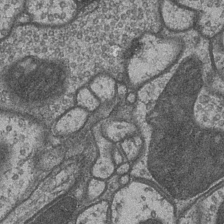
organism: Drosophila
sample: Optic medulla